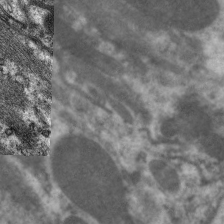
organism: C. elegans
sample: Pharynx